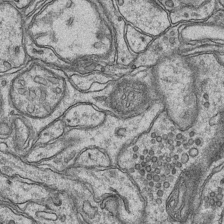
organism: Mouse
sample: CA1 Hippocampus